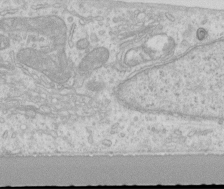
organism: Human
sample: Centriole in RPE cells